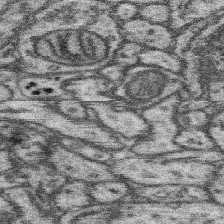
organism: Mouse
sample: Somatosensory cortex neuropil